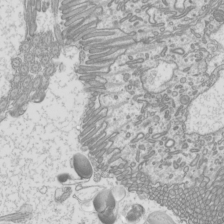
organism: Mouse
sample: Cilia; mouse epididymis